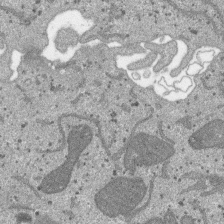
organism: Human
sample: Lung epithelial cells infected with SARS-CoV-2